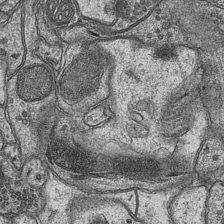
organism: Mouse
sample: CA1 Hippocampus